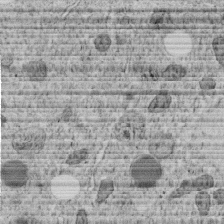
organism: C. elegans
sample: C. elegans embryo early stage